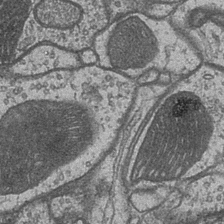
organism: Drosophila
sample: Optic medulla